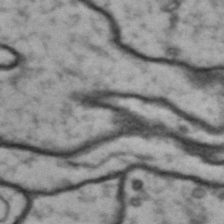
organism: Drosophila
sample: Brain